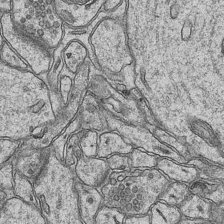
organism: Mouse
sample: CA1 Hippocampus